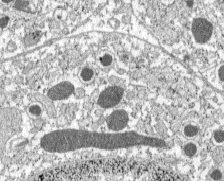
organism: C57BL Mouse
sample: Pancreatic islet